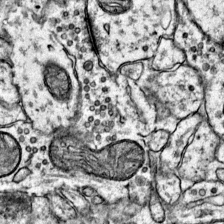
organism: Mouse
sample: Primary visual cortex